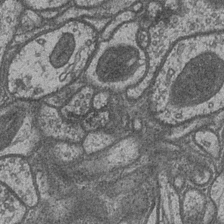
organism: Drosophila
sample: Optic medulla